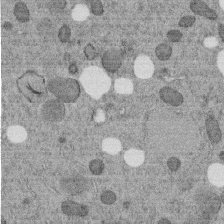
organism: C. elegans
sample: C. elegans embryo early stage